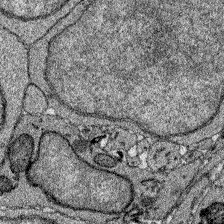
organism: Zebrafish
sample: Larval olfactory bulb